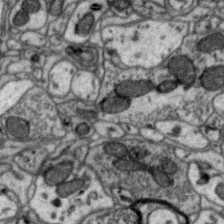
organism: Zebra finch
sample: Brain